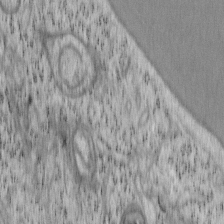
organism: Human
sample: HeLa cells